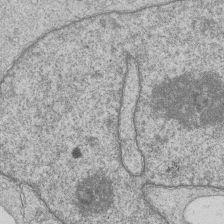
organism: Human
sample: MDA-MB-231 cells